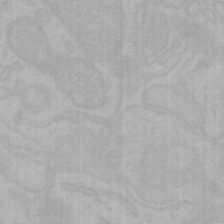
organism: Mouse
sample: Choroid plexus